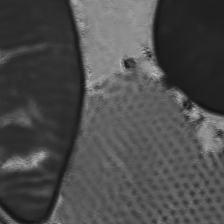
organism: C57BL Mouse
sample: Heart